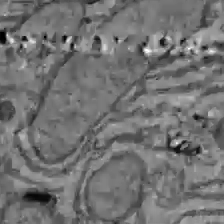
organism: C57BL Mouse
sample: Liver